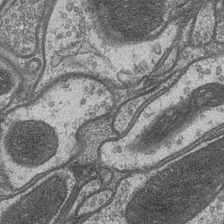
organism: Drosophila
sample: Optic medulla